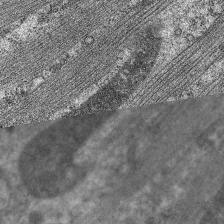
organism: C. elegans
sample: Pharynx